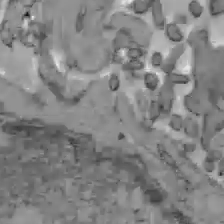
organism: C57BL Mouse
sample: Liver